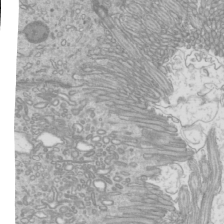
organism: Mouse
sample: Cilia; mouse epididymis